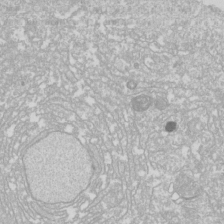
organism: Drosophila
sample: Cell division; meiosis; drosophila spermatocytes